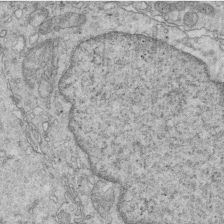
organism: Mouse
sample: Multiciliated cells